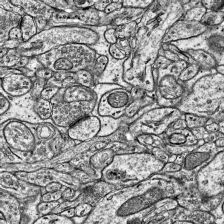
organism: Mouse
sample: Visual Cortex